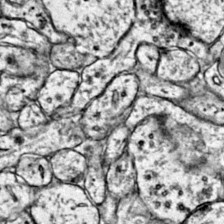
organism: Mouse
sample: Primary visual cortex